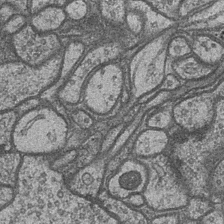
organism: Drosophila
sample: Optic medulla